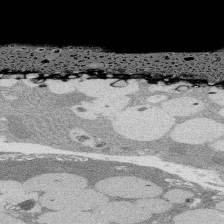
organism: Rat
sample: Salivary granule